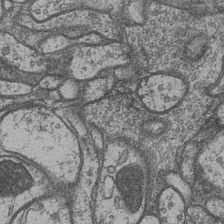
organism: Drosophila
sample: Optic medulla